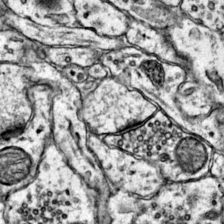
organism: Mouse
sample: Primary visual cortex